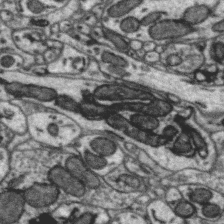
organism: Zebra finch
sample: Brain